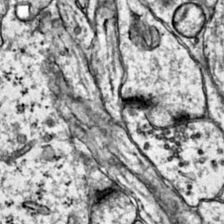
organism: Mouse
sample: Primary visual cortex